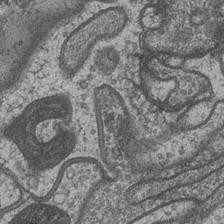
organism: Drosophila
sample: Optic medulla